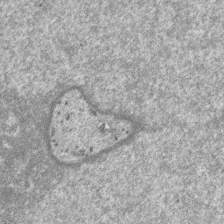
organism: Human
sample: Lung epithelial cells infected with SARS-CoV-2